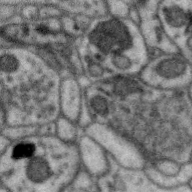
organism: Zebra finch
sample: Brain